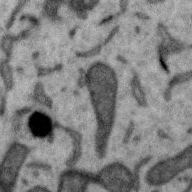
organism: Zebra finch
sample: Brain